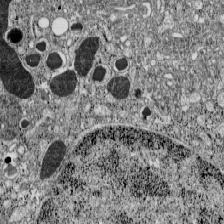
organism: C57BL Mouse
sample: Pancreatic islet